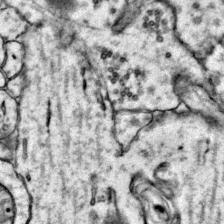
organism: Mouse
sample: Primary visual cortex